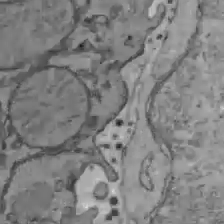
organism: C57BL Mouse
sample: Liver